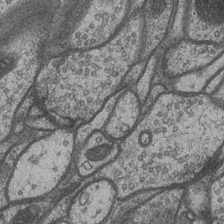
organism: Drosophila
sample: Optic medulla